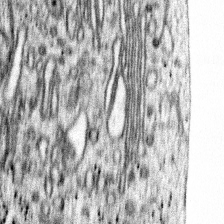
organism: Human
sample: HeLa cells